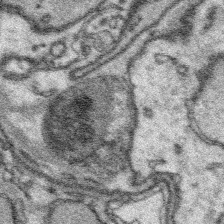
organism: Platynereis dumerilii